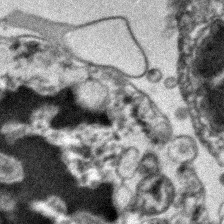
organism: Human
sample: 1205lu cells